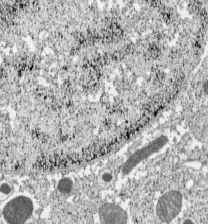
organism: C57BL Mouse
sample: Pancreatic islet